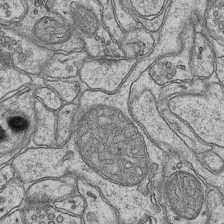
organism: Mouse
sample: CA1 Hippocampus